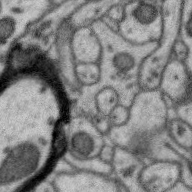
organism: Zebra finch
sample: Brain